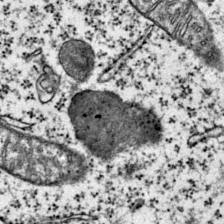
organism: Mouse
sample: Primary visual cortex